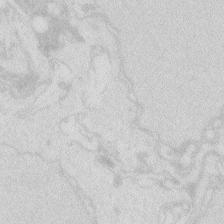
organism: Zebrafish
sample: Macrophage